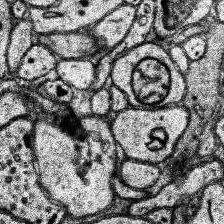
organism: Human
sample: Temporal Lobe